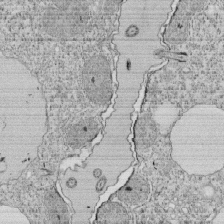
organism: Tetrahymena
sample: Cilia in tetrahymena